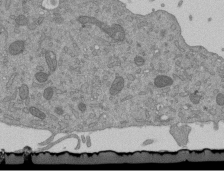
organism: Mouse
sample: ED-1 cell nuclei; centrioles